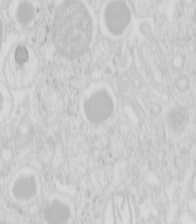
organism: Mouse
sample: Pancreas